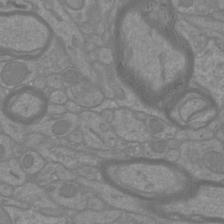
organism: Mouse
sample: Cortical neurons